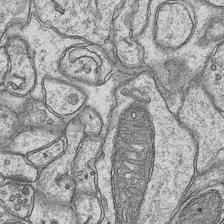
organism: Mouse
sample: CA1 Hippocampus